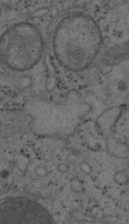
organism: Human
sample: HeLa cells